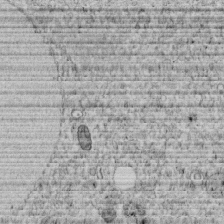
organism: C. elegans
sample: C. elegans embryo early stage